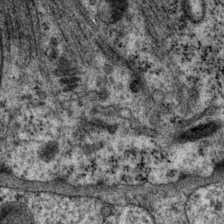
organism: P. pacificus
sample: Pharynx